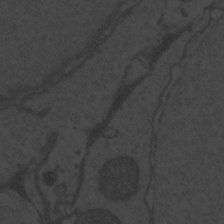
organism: Zebrafish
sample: Macrophage infected with Toxoplasma gondii